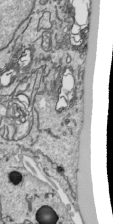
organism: Human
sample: Mitochondria in HCT116 cells